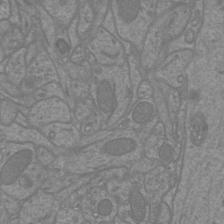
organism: Mouse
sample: Cortical neurons